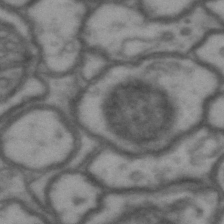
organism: Drosophila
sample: Brain